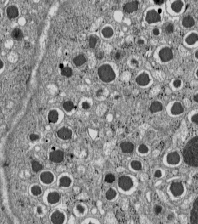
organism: C57BL Mouse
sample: Pancreatic islet